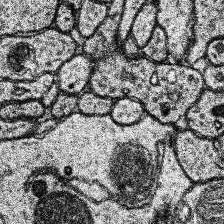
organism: Human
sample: Temporal Lobe